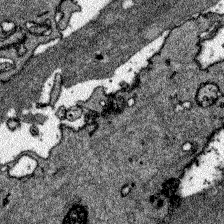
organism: Zebrafish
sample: Larval olfactory bulb